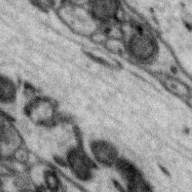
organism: Zebra finch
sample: Brain